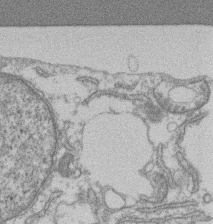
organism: Mouse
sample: T cell stromal cell synapse